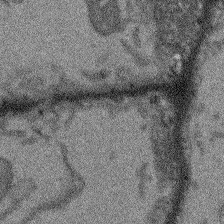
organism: Arabidopsis thaliana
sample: Root tip